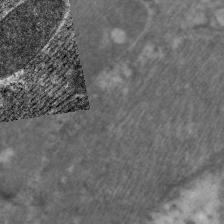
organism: C. elegans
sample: Pharynx